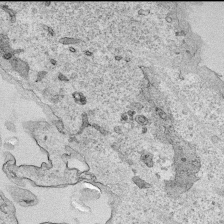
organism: Human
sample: Mitochondria in HCT116 cells